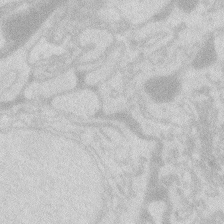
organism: Zebrafish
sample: Macrophage